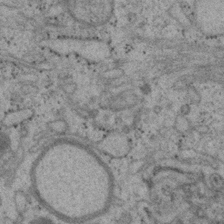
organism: Human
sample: HeLa cells